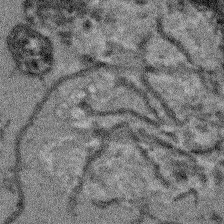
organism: Arabidopsis thaliana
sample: Root tip